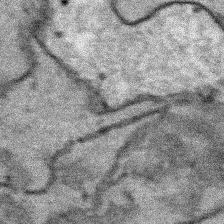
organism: Human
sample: Mitochondria in HCT116 cells